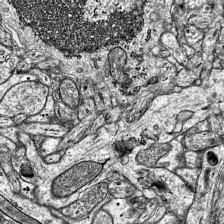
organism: Mouse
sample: Visual Cortex